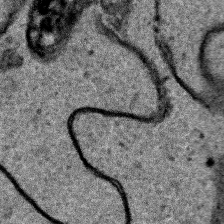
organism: Human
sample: Mitochondria in HCT116 cells